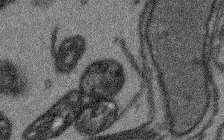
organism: Arabidopsis thaliana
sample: Root tip